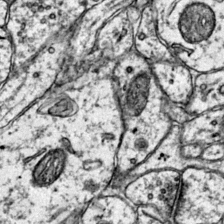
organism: Mouse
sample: Primary visual cortex